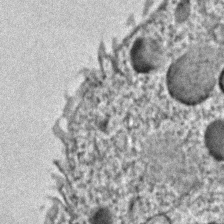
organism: C. elegans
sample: C. elegans embryo